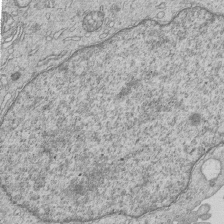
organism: Human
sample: MDA-MB-231 cells